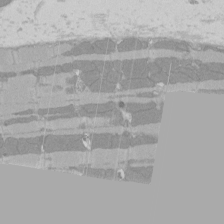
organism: Rat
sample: Left ventricle